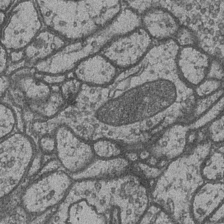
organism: Drosophila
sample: Optic medulla